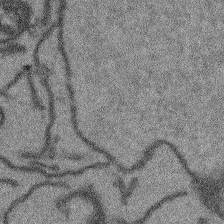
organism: Arabidopsis thaliana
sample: Root tip